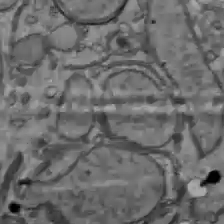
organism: C57BL Mouse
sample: Liver